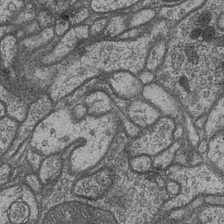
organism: Drosophila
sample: Optic medulla